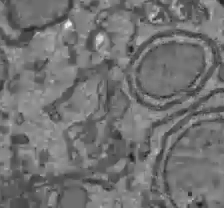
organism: C57BL Mouse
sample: Liver